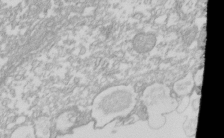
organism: Xenopus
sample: Cilia; centrioles in frog embryo cells